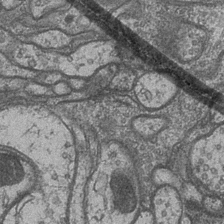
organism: Drosophila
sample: Optic medulla